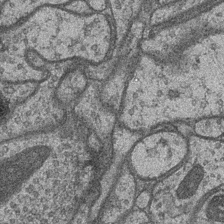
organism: Drosophila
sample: Optic medulla